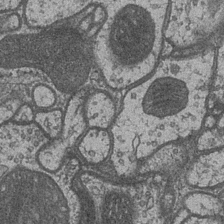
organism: Drosophila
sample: Optic medulla